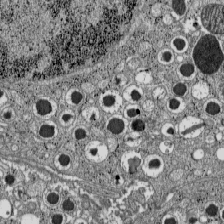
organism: C57BL Mouse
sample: Pancreatic islet